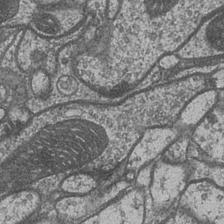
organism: Drosophila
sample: Optic medulla